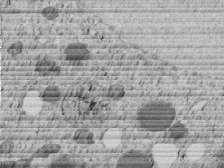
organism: C. elegans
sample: C. elegans embryo early stage